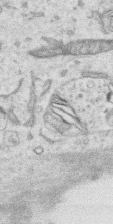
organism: Human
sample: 1205lu cells